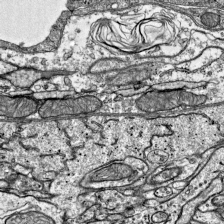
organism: Mouse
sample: Visual Cortex